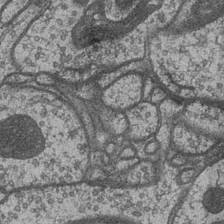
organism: Drosophila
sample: Optic medulla